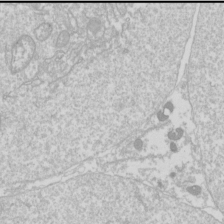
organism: Drosophila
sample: Cell division; meiosis; drosophila spermatocytes